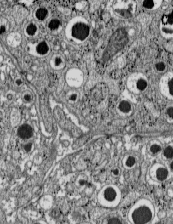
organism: C57BL Mouse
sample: Pancreatic islet